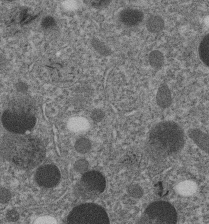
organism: C. elegans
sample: C. elegans embryo early stage